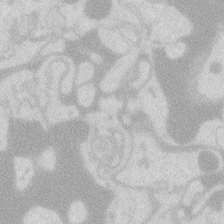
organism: Zebrafish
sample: Macrophage